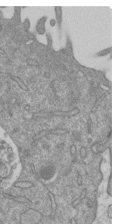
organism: Mouse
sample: ED-1 cell nuclei; centrioles